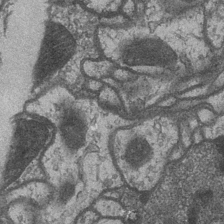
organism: Drosophila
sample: Optic medulla